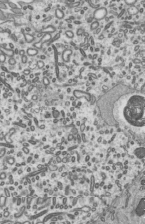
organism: Mouse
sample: Mouse epididymis efferent ductule cilia